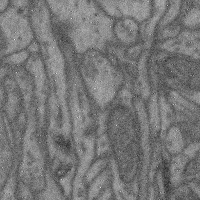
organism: Mouse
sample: Cerebral cortex